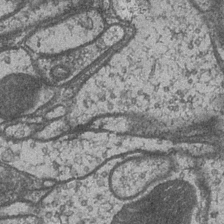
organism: Drosophila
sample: Optic medulla